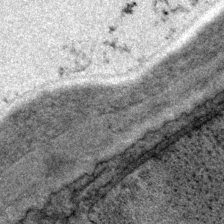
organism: P. pacificus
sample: Pharynx